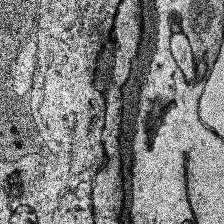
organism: Human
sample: Temporal Lobe